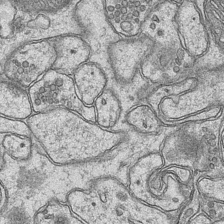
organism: Mouse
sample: CA1 Hippocampus